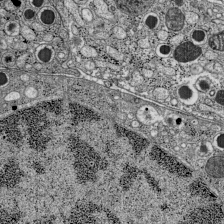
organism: C57BL Mouse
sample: Pancreatic islet